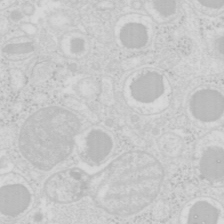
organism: Mouse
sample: Pancreas